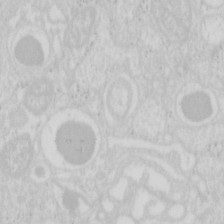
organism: Mouse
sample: Pancreas